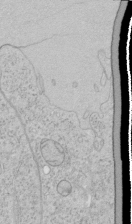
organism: Human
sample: Mitochondria in HCT116 cells